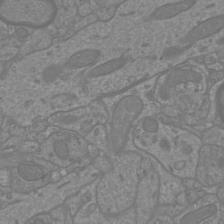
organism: Mouse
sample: Cortical neurons